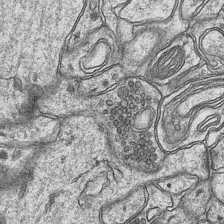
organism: Mouse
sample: CA1 Hippocampus